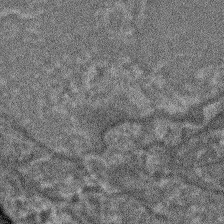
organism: Arabidopsis thaliana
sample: Root tip